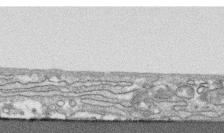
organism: Human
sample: CRL-1474